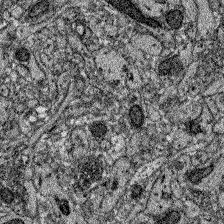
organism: Zebrafish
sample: Larval olfactory bulb